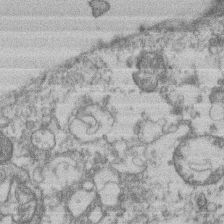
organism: Mouse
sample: T cell stromal cell synapse